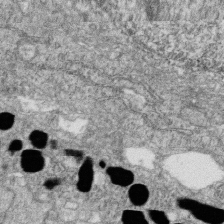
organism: Zebrafish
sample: Cilia; retinal pigment epithelium